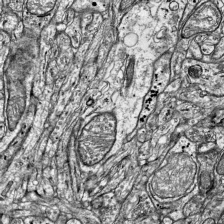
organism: Mouse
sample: Visual Cortex